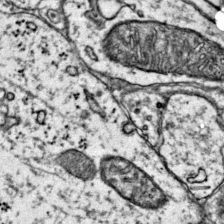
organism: Mouse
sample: Primary visual cortex